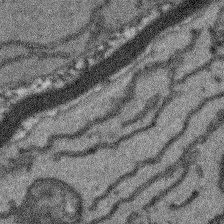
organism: Arabidopsis thaliana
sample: Root tip